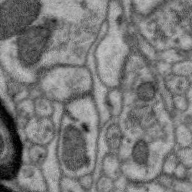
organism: Zebra finch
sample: Brain